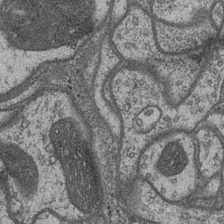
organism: Drosophila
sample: Optic medulla